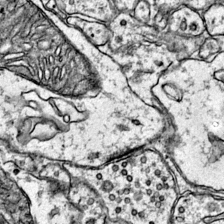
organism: Mouse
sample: Primary visual cortex